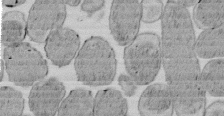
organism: E. coli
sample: Bacterial nucleoid